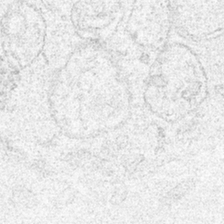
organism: Human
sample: Mitochondria in HCT116 cells